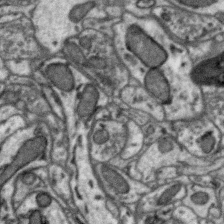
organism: Zebra finch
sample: Brain